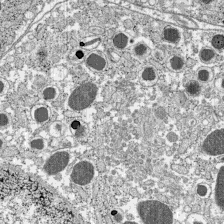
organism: C57BL Mouse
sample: Pancreatic islet